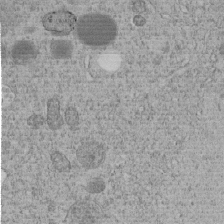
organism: C. elegans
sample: C. elegans embryo early stage